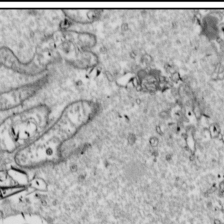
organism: Drosophila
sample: Cell division; meiosis; drosophila spermatocytes